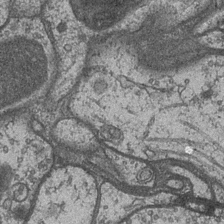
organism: Drosophila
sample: Optic medulla